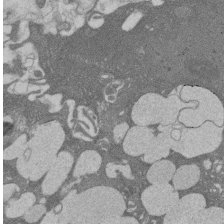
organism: Rat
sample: Salivary granule